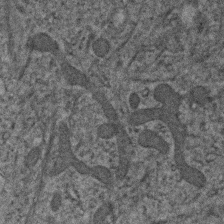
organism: Human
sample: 1205lu cells